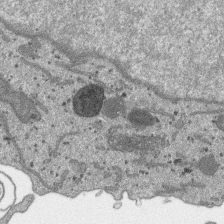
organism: Human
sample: Lung epithelial cells infected with SARS-CoV-2